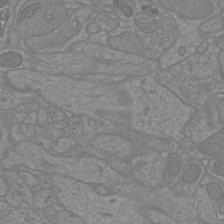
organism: Mouse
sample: Cortical neurons